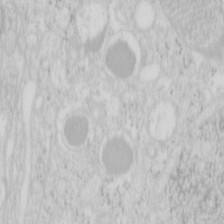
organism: Mouse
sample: Pancreas